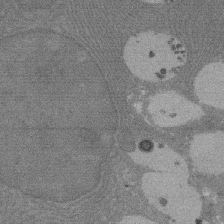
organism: Rat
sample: Salivary granule